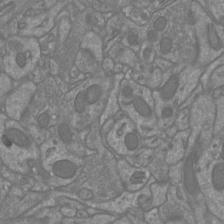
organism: Mouse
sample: Cortical neurons